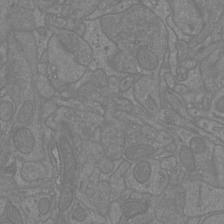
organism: Mouse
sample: Cortical neurons